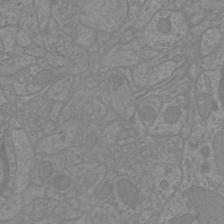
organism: Mouse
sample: Cortical neurons